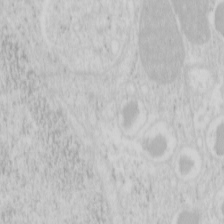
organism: Mouse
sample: Pancreas